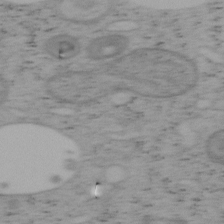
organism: Mouse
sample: OT-I killer T cells with ID8 ovarian cancer cells